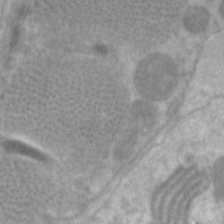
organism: C. elegans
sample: Pharynx